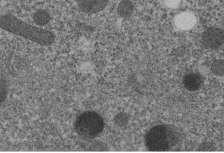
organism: C. elegans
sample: C. elegans embryo early stage